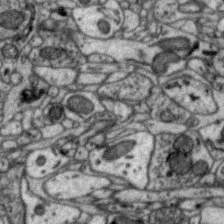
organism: Zebra finch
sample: Brain